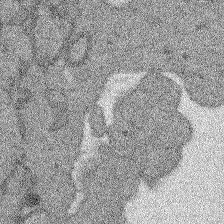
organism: Human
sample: HeLa cells